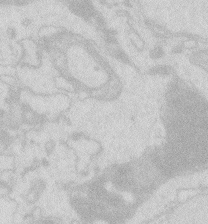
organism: Zebrafish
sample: Macrophage